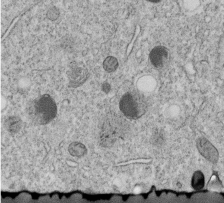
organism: C. elegans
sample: C. elegans embryo early stage